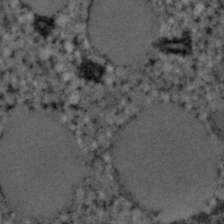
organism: C. elegans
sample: C. elegans embryo